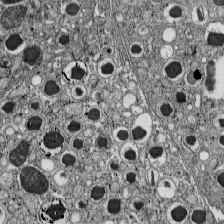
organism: C57BL Mouse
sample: Pancreatic islet